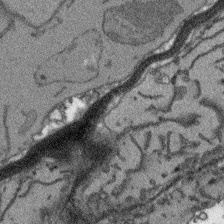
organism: Arabidopsis thaliana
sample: Root tip